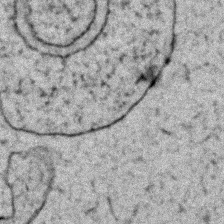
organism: Zebrafish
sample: Zebrafish embryo